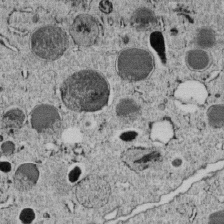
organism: C. elegans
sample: C. elegans embryo early stage